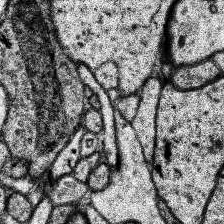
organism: Human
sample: Temporal Lobe